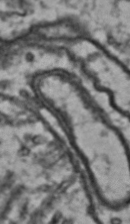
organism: Drosophila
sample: Brain